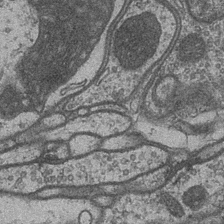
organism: Drosophila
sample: Optic medulla